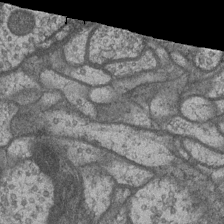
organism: Drosophila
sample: Optic medulla